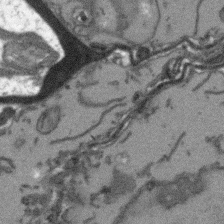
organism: Arabidopsis thaliana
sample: Root tip